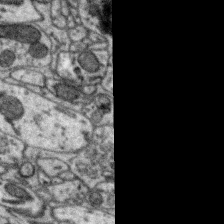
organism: Zebra finch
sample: Brain